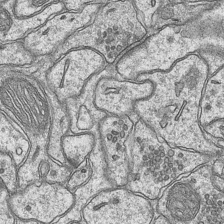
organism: Mouse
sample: CA1 Hippocampus